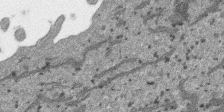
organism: Human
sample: Lung epithelial cells infected with SARS-CoV-2